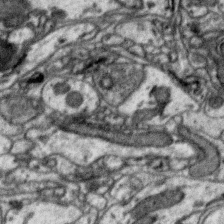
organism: Zebra finch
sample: Brain